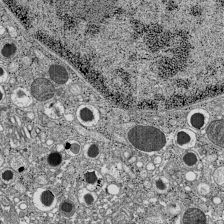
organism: C57BL Mouse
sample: Pancreatic islet